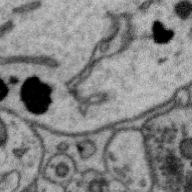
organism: Zebra finch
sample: Brain